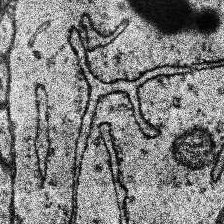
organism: Human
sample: Temporal Lobe